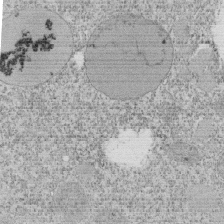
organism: Tetrahymena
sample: Cilia in tetrahymena